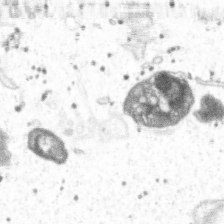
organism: Human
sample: HeLa cells